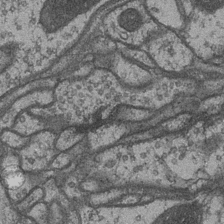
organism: Drosophila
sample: Optic medulla